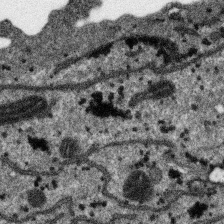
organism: Human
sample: Lung epithelial cells infected with SARS-CoV-2